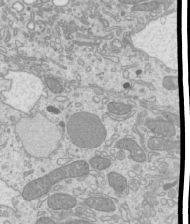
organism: Mouse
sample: Cilia; mouse epididymis